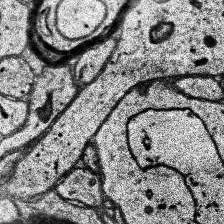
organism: Human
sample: Temporal Lobe